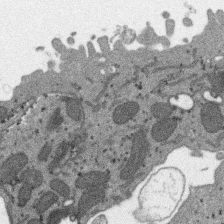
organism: Human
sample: Lung epithelial cells infected with SARS-CoV-2